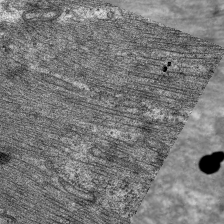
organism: C. elegans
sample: Pharynx